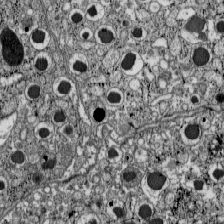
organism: C57BL Mouse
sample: Pancreatic islet